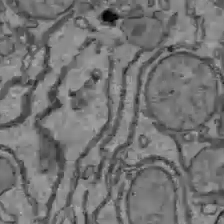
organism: C57BL Mouse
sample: Liver